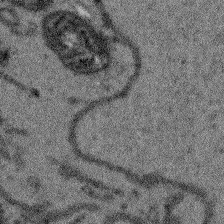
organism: Arabidopsis thaliana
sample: Root tip